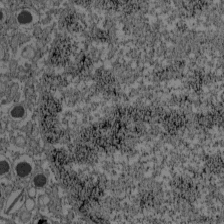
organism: C57BL Mouse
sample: Pancreatic islet